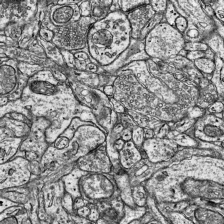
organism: Mouse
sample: Visual Cortex